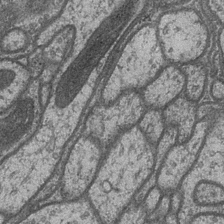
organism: Drosophila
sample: Optic medulla